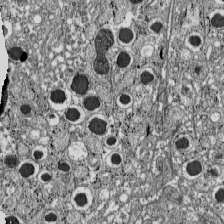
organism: C57BL Mouse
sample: Pancreatic islet